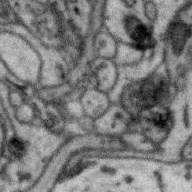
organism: Zebra finch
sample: Brain